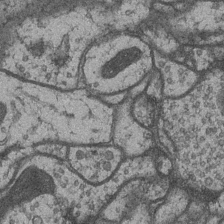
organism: Drosophila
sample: Optic medulla